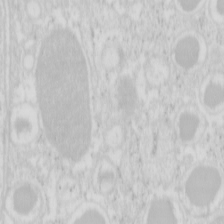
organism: Mouse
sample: Pancreas